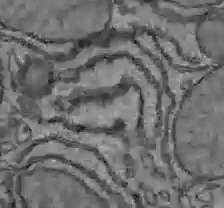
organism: C57BL Mouse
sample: Liver